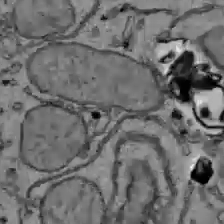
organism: C57BL Mouse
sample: Liver